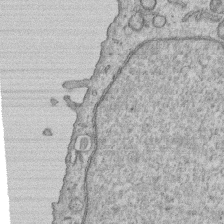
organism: Human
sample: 1205lu cells